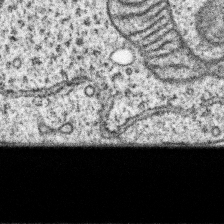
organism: Human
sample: HeLa cells